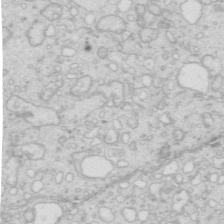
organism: Mouse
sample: Multiciliated cells